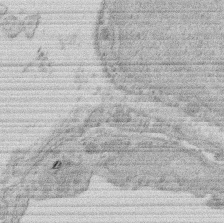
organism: Rat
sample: Salivary granule